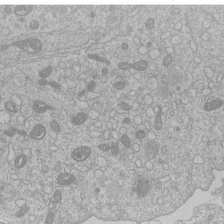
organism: Human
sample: Macrophage cells